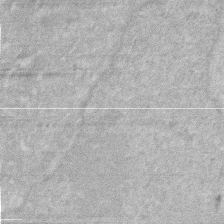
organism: Human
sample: HIV infected U937 cells